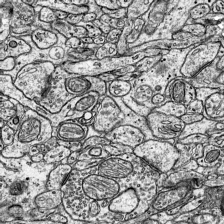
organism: Mouse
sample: Visual Cortex